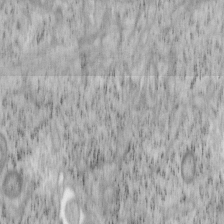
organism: Human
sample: HeLa cells